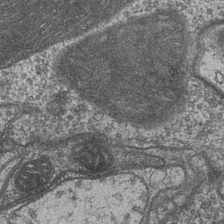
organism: Drosophila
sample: Optic medulla